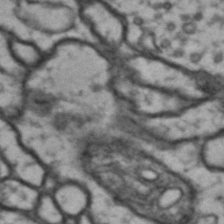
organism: Drosophila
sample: Brain